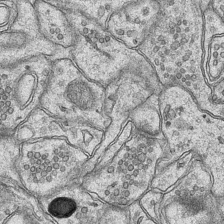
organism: Mouse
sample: CA1 Hippocampus